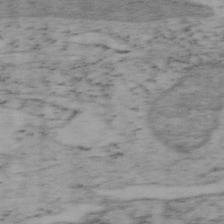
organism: Mouse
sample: OT-I killer T cells with ID8 ovarian cancer cells